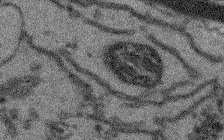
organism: Arabidopsis thaliana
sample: Root tip